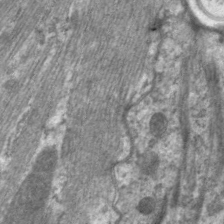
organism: C. elegans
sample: Pharynx